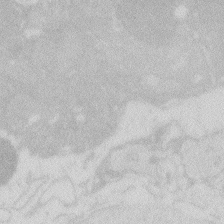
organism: Zebrafish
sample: Macrophage